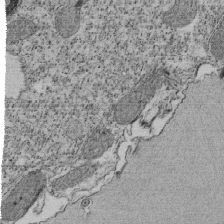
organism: Tetrahymena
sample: Cilia in tetrahymena